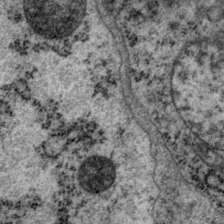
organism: P. pacificus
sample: Pharynx